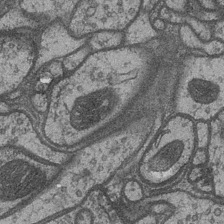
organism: Drosophila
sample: Optic medulla